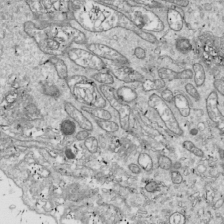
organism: Drosophila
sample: Cell division; meiosis; drosophila spermatocytes